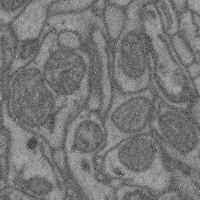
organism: Mouse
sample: Cerebral cortex